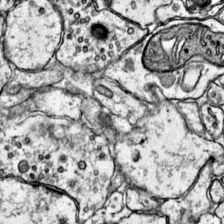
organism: Mouse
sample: Primary visual cortex